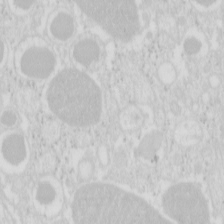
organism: Mouse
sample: Pancreas